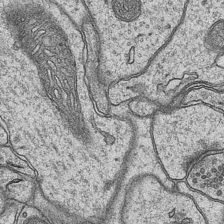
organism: Mouse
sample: CA1 Hippocampus